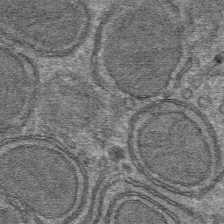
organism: Mouse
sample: Mouse hepatocytes